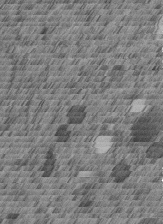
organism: C. elegans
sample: C. elegans embryo early stage